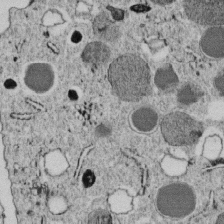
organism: C. elegans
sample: C. elegans embryo early stage